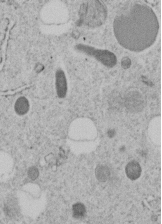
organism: C. elegans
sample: C. elegans embryo early stage